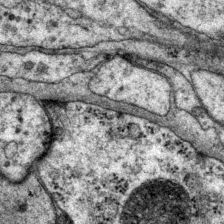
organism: P. pacificus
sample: Pharynx